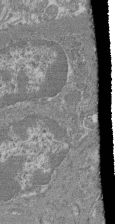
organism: Mouse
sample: Glomerulus